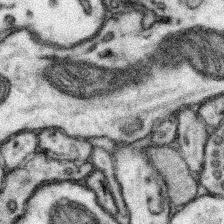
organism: Mouse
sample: Somatosensory cortex neuropil